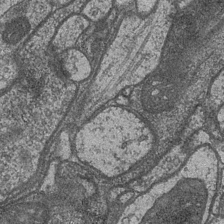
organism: Drosophila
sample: Optic medulla